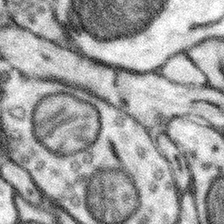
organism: Mouse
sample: Somatosensory cortex neuropil